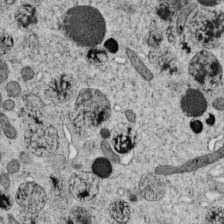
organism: C. elegans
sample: C. elegans oocyte; sperm cells